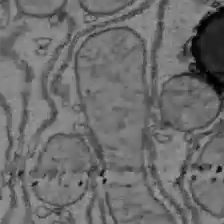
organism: C57BL Mouse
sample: Liver